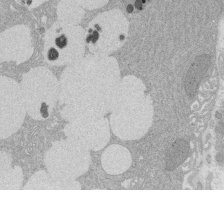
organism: Rat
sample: Salivary granule